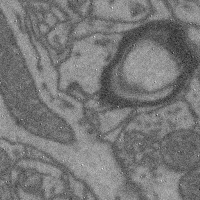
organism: Mouse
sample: Cerebral cortex